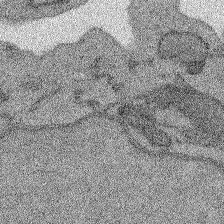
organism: Human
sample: HeLa cells